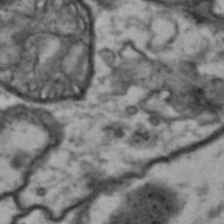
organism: Drosophila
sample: Brain